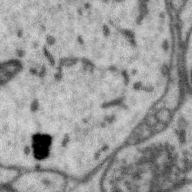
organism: Zebra finch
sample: Brain